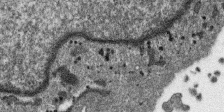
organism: Human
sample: Lung epithelial cells infected with SARS-CoV-2